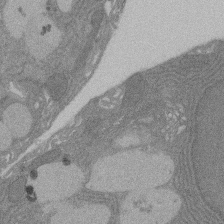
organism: Rat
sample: Salivary granule